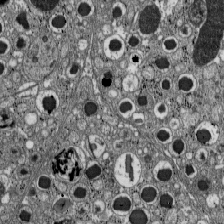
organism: C57BL Mouse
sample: Pancreatic islet